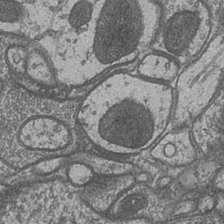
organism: Drosophila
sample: Optic medulla